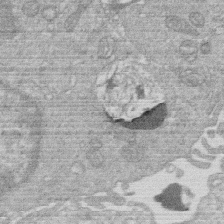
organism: Human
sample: Macrophage cells